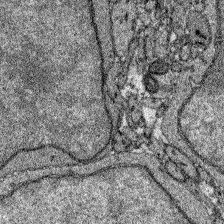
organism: Zebrafish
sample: Larval olfactory bulb